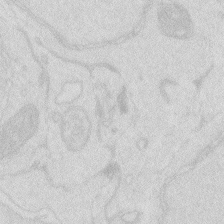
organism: Zebrafish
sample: Macrophage